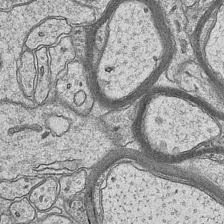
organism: Mouse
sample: CA1 Hippocampus